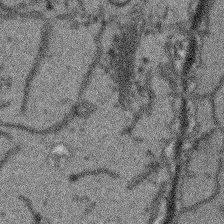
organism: Arabidopsis thaliana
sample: Root tip